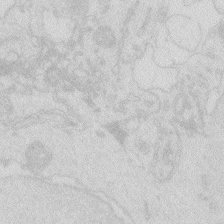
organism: Zebrafish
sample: Macrophage